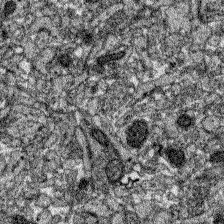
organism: Zebrafish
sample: Larval olfactory bulb